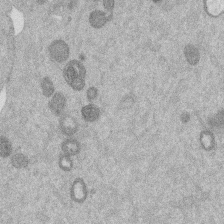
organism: Mouse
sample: Dividing mouse embryo 1 cell stage